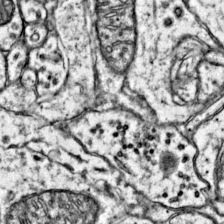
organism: Mouse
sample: Primary visual cortex